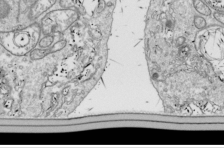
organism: Drosophila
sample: Cell division; meiosis; drosophila spermatocytes